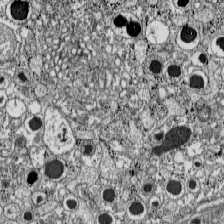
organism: C57BL Mouse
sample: Pancreatic islet